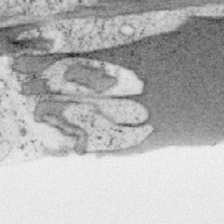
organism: Mouse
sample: OT-I killer T cells with ID8 ovarian cancer cells